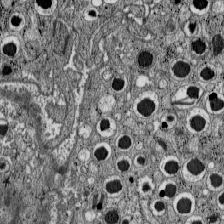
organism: C57BL Mouse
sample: Pancreatic islet